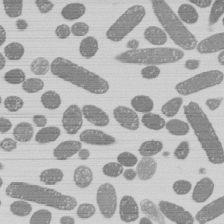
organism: E. coli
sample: Bacterial nucleoid